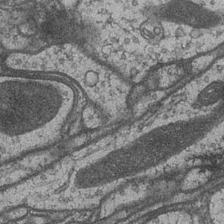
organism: Drosophila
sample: Optic medulla